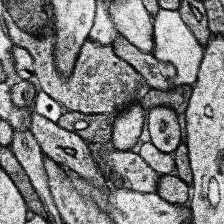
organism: Human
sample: Temporal Lobe